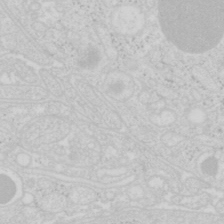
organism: Mouse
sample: Pancreas